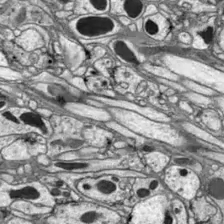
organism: Drosophila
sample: Optic lobe